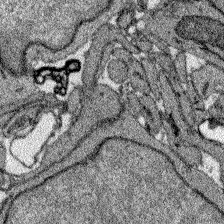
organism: Zebrafish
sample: Larval olfactory bulb